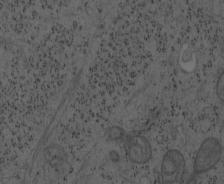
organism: Mouse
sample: OT-I killer T cells with ID8 ovarian cancer cells